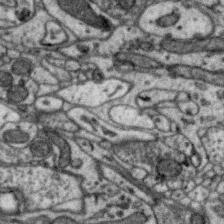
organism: Zebra finch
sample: Brain